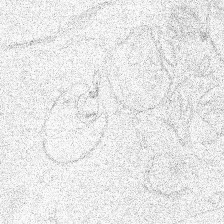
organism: Human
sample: Mitochondria in HCT116 cells